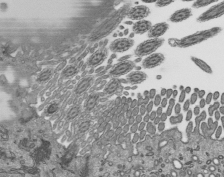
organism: Mouse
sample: Mouse epididymis efferent ductule cilia